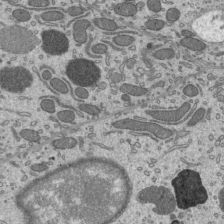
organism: Mouse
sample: Mouse epididymis efferent ductule cilia